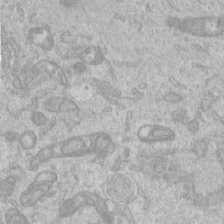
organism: Human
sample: Centriole in RPE cells